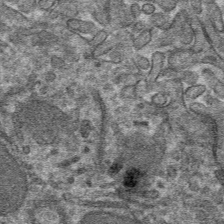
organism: Mouse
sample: Mouse hepatocytes